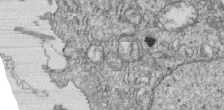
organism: Human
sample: HeLa cell HIV synapse